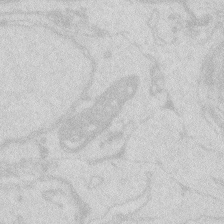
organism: Zebrafish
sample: Macrophage